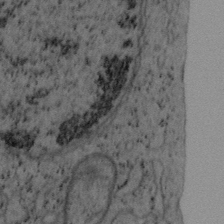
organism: Human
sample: HeLa cells